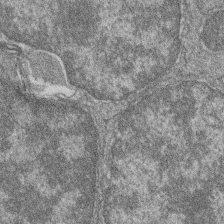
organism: Zebrafish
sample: Cilia; retinal pigment epithelium